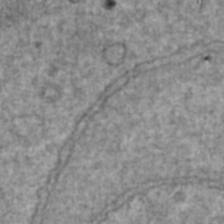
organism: Human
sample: Blood